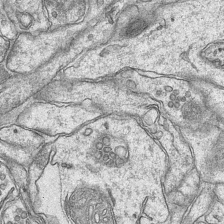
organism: Mouse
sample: CA1 Hippocampus